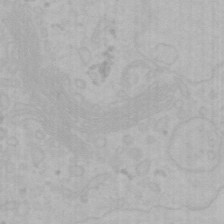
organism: Mouse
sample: Choroid plexus